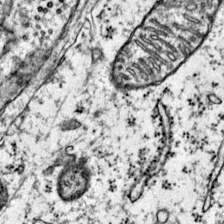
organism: Mouse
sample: Primary visual cortex